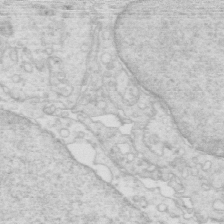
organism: Mouse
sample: Multiciliated cells